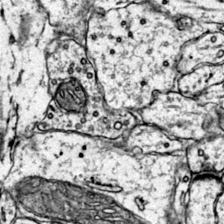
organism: Mouse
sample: Primary visual cortex